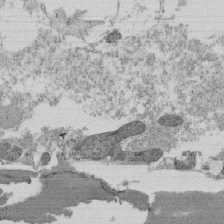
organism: Tetrahymena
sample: Cilia in tetrahymena